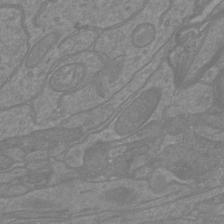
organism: Mouse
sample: Cortical neurons